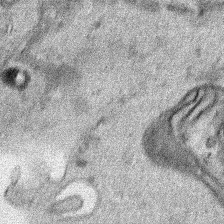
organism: Human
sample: Mitochondria in HCT116 cells